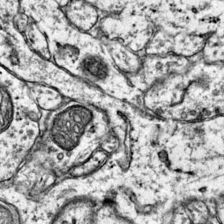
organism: Mouse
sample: Primary visual cortex